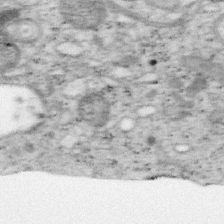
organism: Mouse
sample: OT-I killer T cells with ID8 ovarian cancer cells